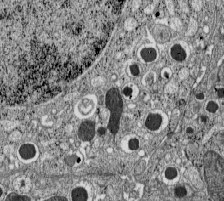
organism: C57BL Mouse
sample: Pancreatic islet